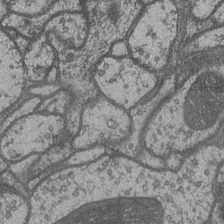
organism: Drosophila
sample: Optic medulla